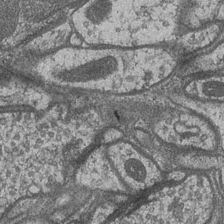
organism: Drosophila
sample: Optic medulla